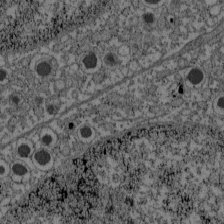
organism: C57BL Mouse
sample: Pancreatic islet